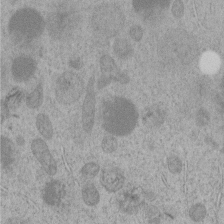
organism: C. elegans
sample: C. elegans embryo early stage